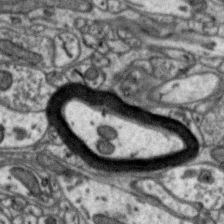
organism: Zebra finch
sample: Brain